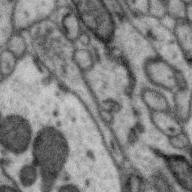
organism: Zebra finch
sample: Brain